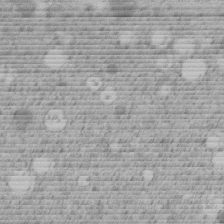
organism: C. elegans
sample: C. elegans embryo early stage